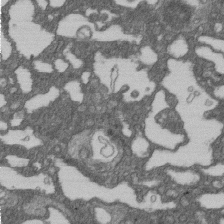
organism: Drosophila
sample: Nephrocyte